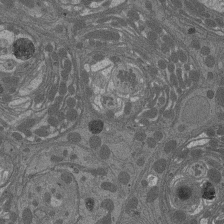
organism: Drosophila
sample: Antenna